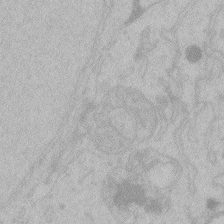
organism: Zebrafish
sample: Macrophage infected with Toxoplasma gondii